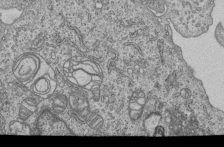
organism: Human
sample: MDA-MB-231 cells